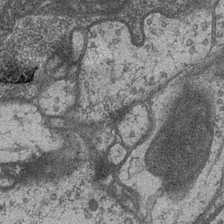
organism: Drosophila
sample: Optic medulla